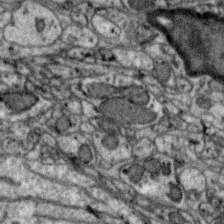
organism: Zebra finch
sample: Brain